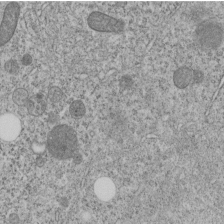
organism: C. elegans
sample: C. elegans embryo early stage